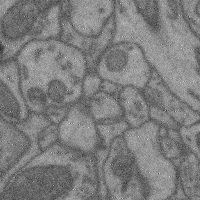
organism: Mouse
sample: Cerebral cortex